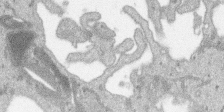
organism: Human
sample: Lung epithelial cells infected with SARS-CoV-2